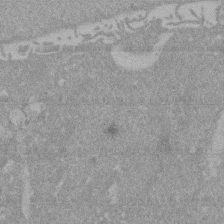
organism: Mouse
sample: ED-1 cell nuclei; centrioles